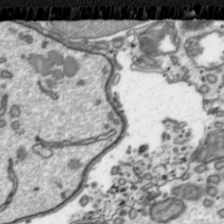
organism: Toxoplasma gondii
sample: Parasites in a vacuole inside a host cell